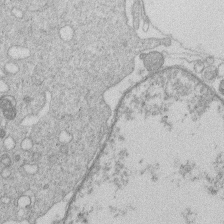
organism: Human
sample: Macrophage cells